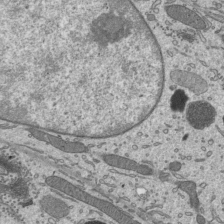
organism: Mouse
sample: Mouse epididymis efferent ductule cilia